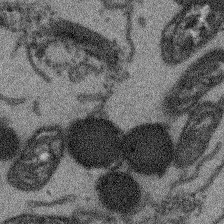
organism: Arabidopsis thaliana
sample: Root tip